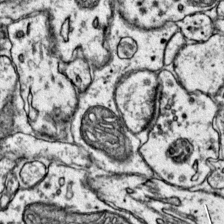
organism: Mouse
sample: Primary visual cortex